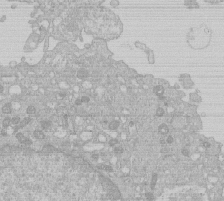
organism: Human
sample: Macrophage cells